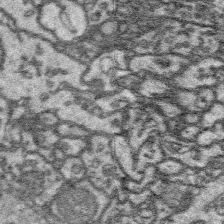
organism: Platynereis dumerilii